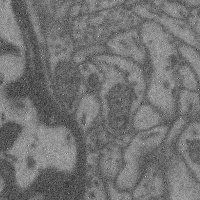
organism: Mouse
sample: Cerebral cortex